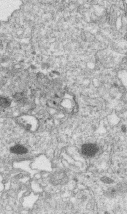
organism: Human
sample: HeLa cell HIV synapse